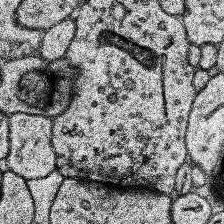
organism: Human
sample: Temporal Lobe